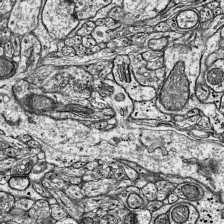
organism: Mouse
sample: Visual Cortex